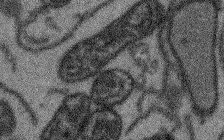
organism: Arabidopsis thaliana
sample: Root tip